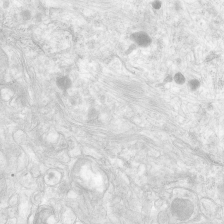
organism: Human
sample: Neocortex